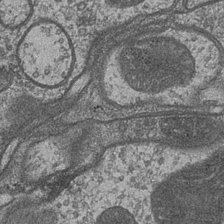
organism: Drosophila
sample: Optic medulla